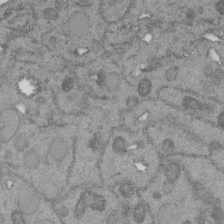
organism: C. elegans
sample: C. elegans embryo early stage